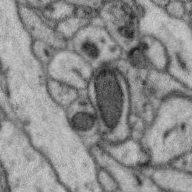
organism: Zebra finch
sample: Brain